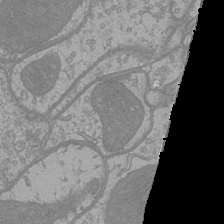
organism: Drosophila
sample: Optic medulla